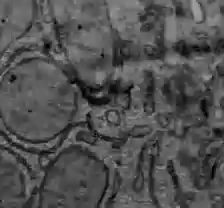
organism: C57BL Mouse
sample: Liver